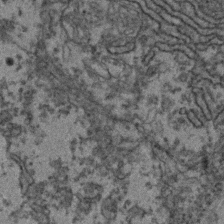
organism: Zebrafish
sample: Zebrafish embryo